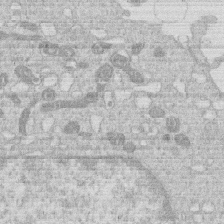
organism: Human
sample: Macrophage cells